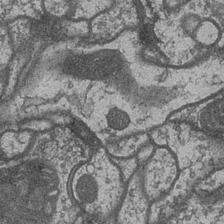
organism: Drosophila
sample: Optic medulla